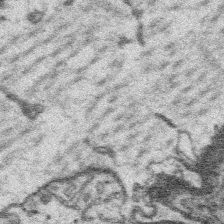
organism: Platynereis dumerilii